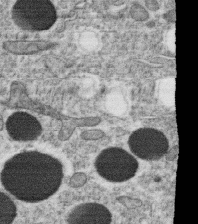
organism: C. elegans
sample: C. elegans oocyte; sperm cells